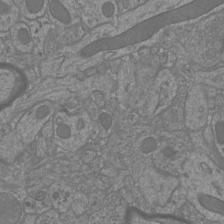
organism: Mouse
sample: Cortical neurons